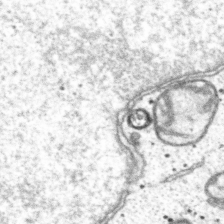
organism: Human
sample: HeLa cells